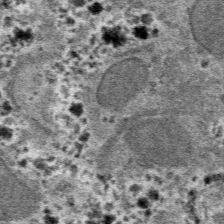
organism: Mouse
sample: Mouse hepatocytes